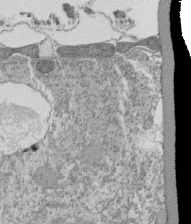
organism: Tetrahymena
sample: Cilia in tetrahymena